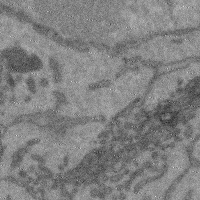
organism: Mouse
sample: Cerebral cortex